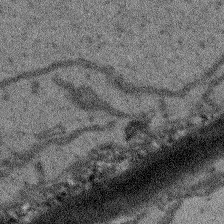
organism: Arabidopsis thaliana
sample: Root tip